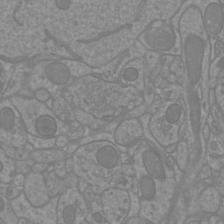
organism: Mouse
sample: Cortical neurons